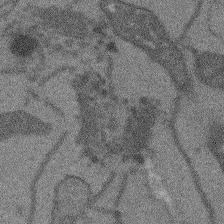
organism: Arabidopsis thaliana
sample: Root tip